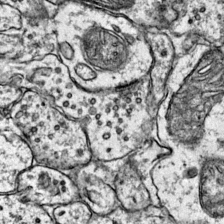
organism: Mouse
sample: Primary visual cortex